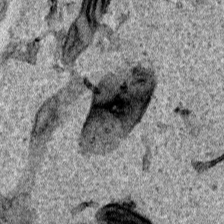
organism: Human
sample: Mitochondria in HCT116 cells